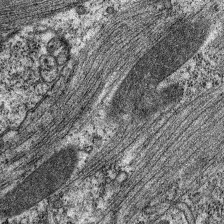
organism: C. elegans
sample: Pharynx